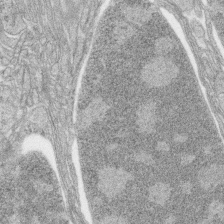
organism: Zebrafish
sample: synaptic ribbons in rod cells and cone cells